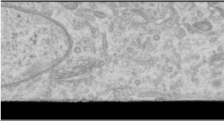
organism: Human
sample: Cilia; basal body in RPE cells